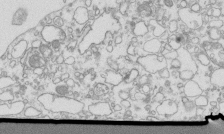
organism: Mouse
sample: Macrophages